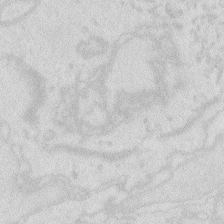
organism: Zebrafish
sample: Macrophage